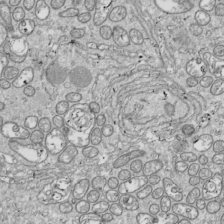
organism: Drosophila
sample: Cell division; meiosis; drosophila spermatocytes